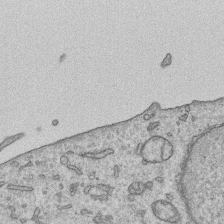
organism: Human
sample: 1205lu cells